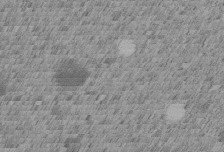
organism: C. elegans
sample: C. elegans embryo early stage